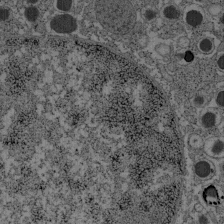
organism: C57BL Mouse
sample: Pancreatic islet